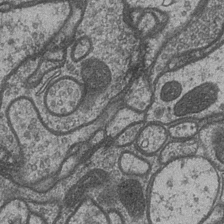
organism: Drosophila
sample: Optic medulla